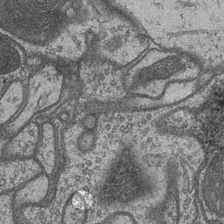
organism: Drosophila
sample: Optic medulla